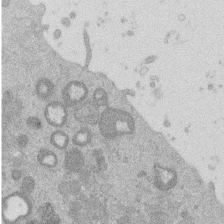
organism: Mouse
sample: Dividing mouse embryo 1 cell stage